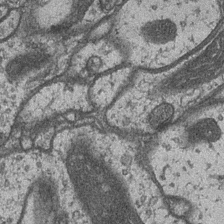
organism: Drosophila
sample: Optic medulla